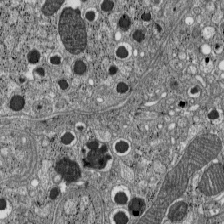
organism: C57BL Mouse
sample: Pancreatic islet